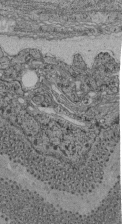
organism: C. elegans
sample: C. elegans pharynx